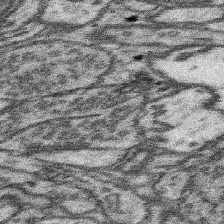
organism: Mouse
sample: Somatosensory cortex neuropil